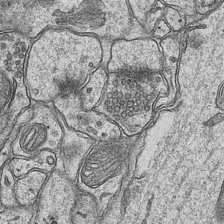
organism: Mouse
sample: CA1 Hippocampus